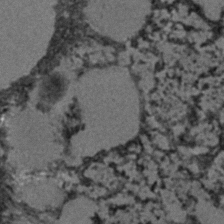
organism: C. elegans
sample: C. elegans embryo